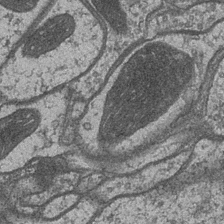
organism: Drosophila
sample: Optic medulla